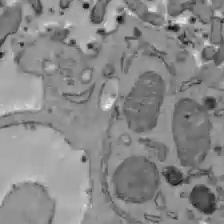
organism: C57BL Mouse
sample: Liver